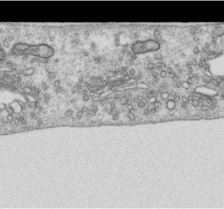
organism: Human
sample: Centriole in RPE cells